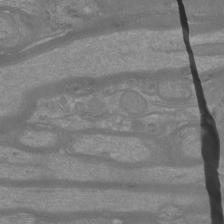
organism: Mouse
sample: Cortical neurons